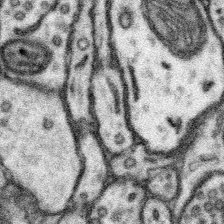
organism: Mouse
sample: Somatosensory cortex neuropil